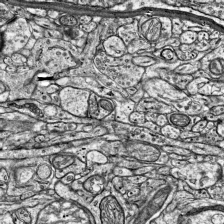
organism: Mouse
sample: Visual Cortex